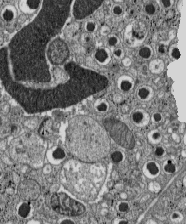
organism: C57BL Mouse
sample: Pancreatic islet